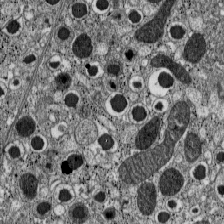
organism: C57BL Mouse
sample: Pancreatic islet